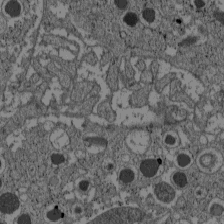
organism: C57BL Mouse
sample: Pancreatic islet